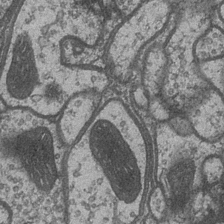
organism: Drosophila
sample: Optic medulla